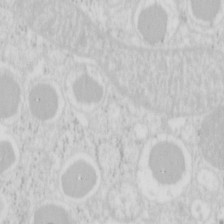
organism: Mouse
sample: Pancreas